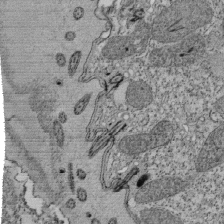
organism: Tetrahymena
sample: Cilia in tetrahymena